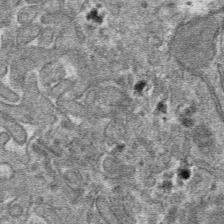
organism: Mouse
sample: Mouse hepatocytes